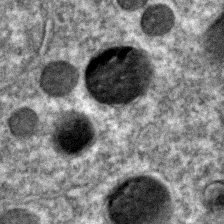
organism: C. elegans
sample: C. elegans embryo